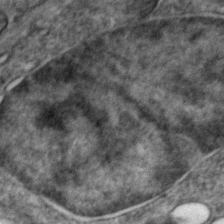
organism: Zebrafish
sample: Zebrafish embryo